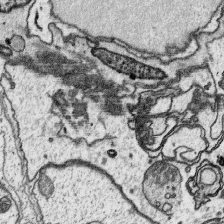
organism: Platynereis dumerilii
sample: Parapodia